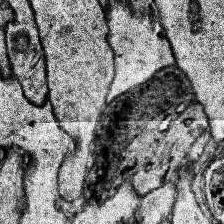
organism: Human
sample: Temporal Lobe